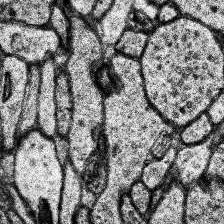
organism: Human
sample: Temporal Lobe